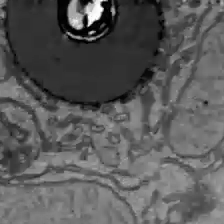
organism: C57BL Mouse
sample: Liver